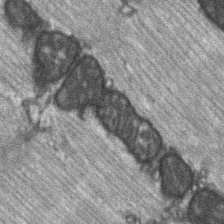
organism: C57BL Mouse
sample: Soleus